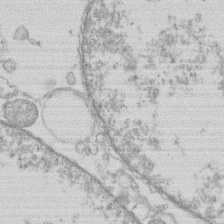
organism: Human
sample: Macrophage cells